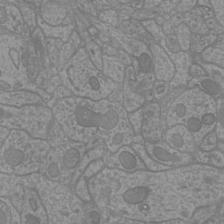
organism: Mouse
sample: Cortical neurons